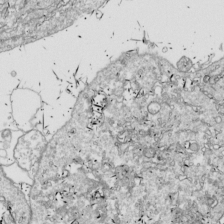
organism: Drosophila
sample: Cell division; meiosis; drosophila spermatocytes